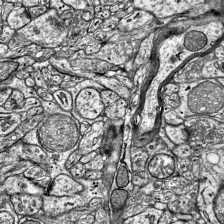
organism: Mouse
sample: Visual Cortex